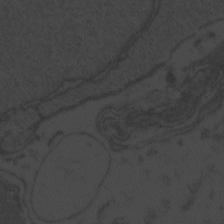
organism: Zebrafish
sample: Macrophage infected with Toxoplasma gondii